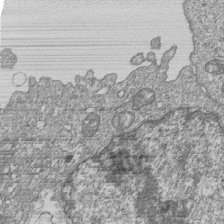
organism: Human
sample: MDA-MB-231 cells